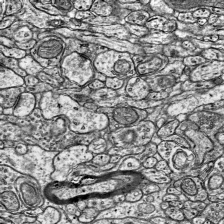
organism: Mouse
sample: Visual Cortex